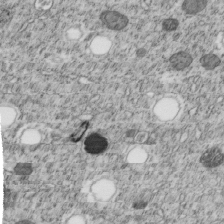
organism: C. elegans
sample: C. elegans embryo early stage